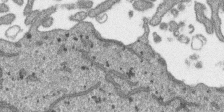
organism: Human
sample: Lung epithelial cells infected with SARS-CoV-2